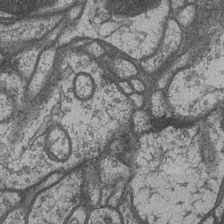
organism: Drosophila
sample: Optic medulla